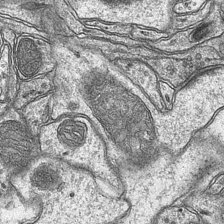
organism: Mouse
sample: CA1 Hippocampus